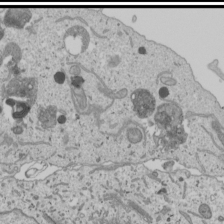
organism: Human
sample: Mitochondria in U2OS cells